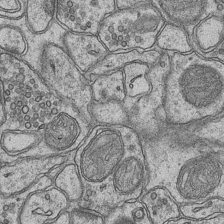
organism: Mouse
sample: CA1 Hippocampus